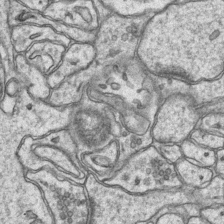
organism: Mouse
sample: CA1 Hippocampus